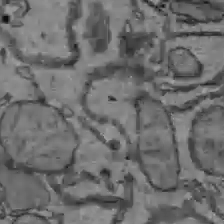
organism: C57BL Mouse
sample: Liver